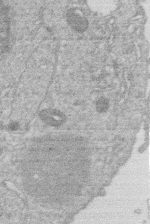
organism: Human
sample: Macrophage cells